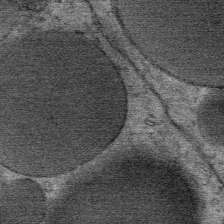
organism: Mouse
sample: Mouse Salivary gland